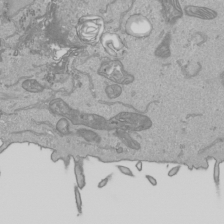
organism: Human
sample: Mitochondria in HCT116 cells